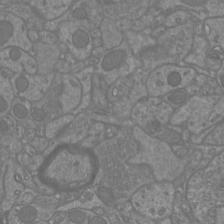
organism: Mouse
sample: Cortical neurons